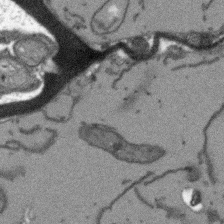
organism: Arabidopsis thaliana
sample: Root tip